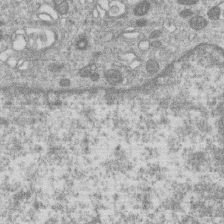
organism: Human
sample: Macrophage cells